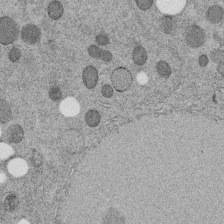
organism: C. elegans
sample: C. elegans embryo early stage